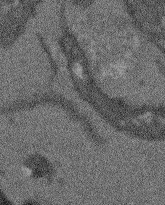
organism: Arabidopsis thaliana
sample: Root tip